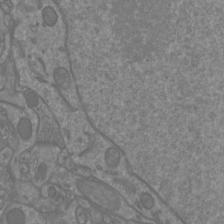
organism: Mouse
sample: Cortical neurons